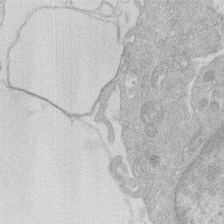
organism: Human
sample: Macrophage cells